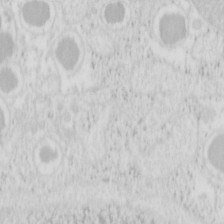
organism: Mouse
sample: Pancreas